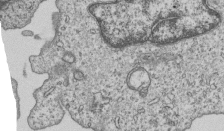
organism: Human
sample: MDA-MB-231 cells